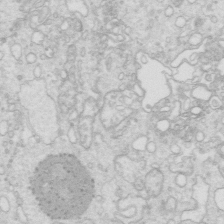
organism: Mouse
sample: Multiciliated cells